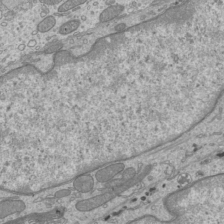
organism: Mouse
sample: Cilia; mouse epididymis